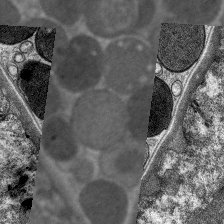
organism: C. elegans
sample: Pharynx